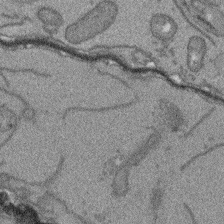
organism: Arabidopsis thaliana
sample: Root tip